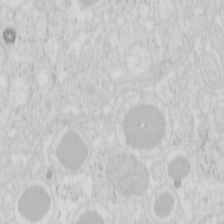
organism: Mouse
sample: Pancreas